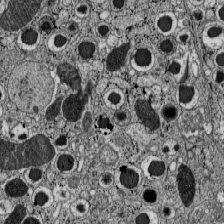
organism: C57BL Mouse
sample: Pancreatic islet